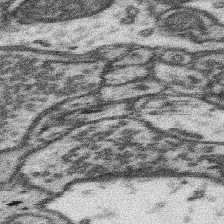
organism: Mouse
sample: Somatosensory cortex neuropil